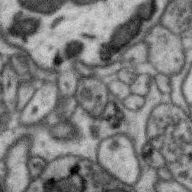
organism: Zebra finch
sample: Brain